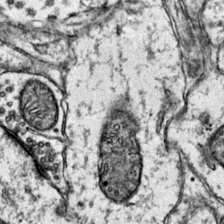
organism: Mouse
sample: Primary visual cortex